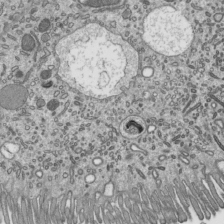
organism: Mouse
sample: Mouse epididymis efferent ductule cilia